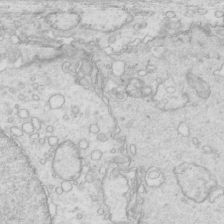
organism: Mouse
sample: Multiciliated cells